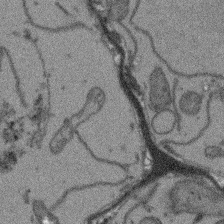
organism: Arabidopsis thaliana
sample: Root tip